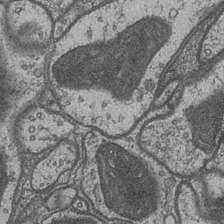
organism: Drosophila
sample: Optic medulla